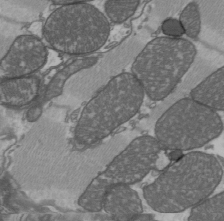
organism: C57BL Mouse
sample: Heart